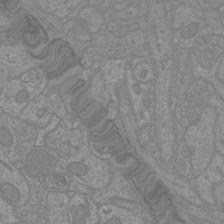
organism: Mouse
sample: Cortical neurons